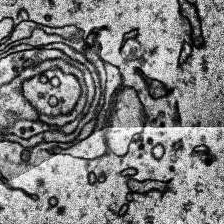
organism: Human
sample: Temporal Lobe